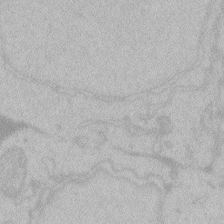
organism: Zebrafish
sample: Macrophage infected with Toxoplasma gondii